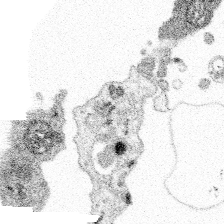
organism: Spongilla lacustris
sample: Multiple